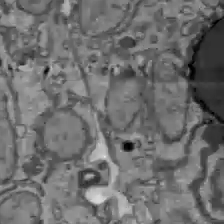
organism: C57BL Mouse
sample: Liver